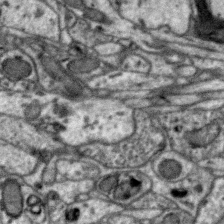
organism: Zebra finch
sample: Brain